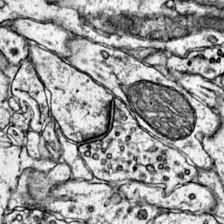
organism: Mouse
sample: Primary visual cortex